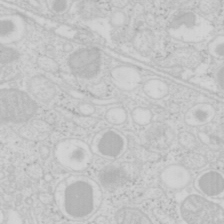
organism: Mouse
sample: Pancreas